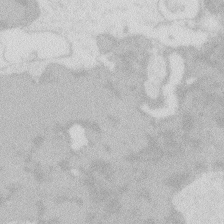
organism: Zebrafish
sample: Macrophage